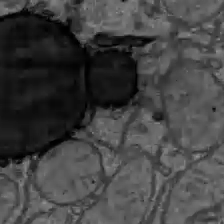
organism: C57BL Mouse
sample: Liver